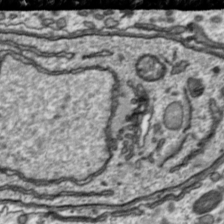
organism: Toxoplasma gondii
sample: Parasites in a vacuole inside a host cell